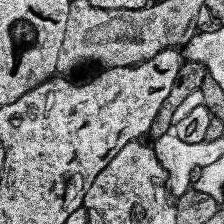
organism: Human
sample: Temporal Lobe